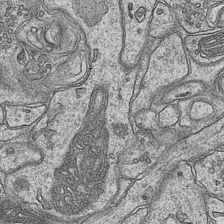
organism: Mouse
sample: CA1 Hippocampus